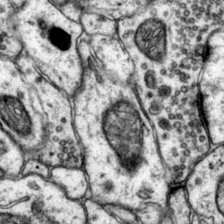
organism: Mouse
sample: Primary visual cortex